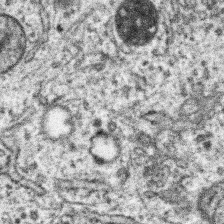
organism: Human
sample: HeLa cells